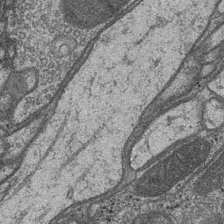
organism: Drosophila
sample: Optic medulla